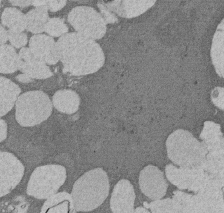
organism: Rat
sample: Salivary granule